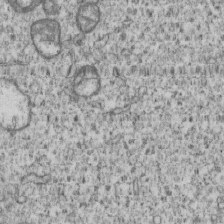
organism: Human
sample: MDA-MB-231 cells